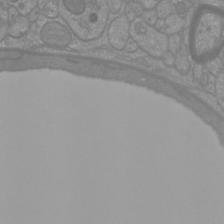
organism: Mouse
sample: Cortical neurons